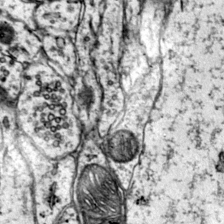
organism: Mouse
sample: Primary visual cortex